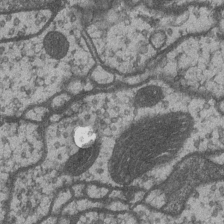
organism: Drosophila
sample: Optic medulla